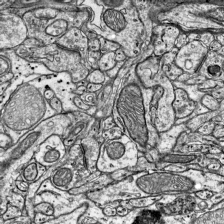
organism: Mouse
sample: Visual Cortex